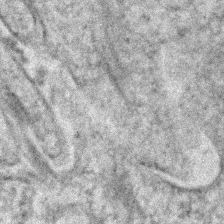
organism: Human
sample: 1205lu cells